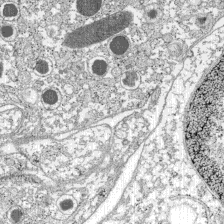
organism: C57BL Mouse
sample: Pancreatic islet